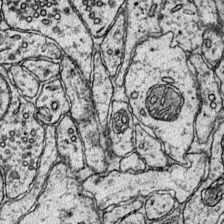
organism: Mouse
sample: Primary visual cortex